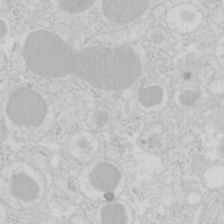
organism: Mouse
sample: Pancreas